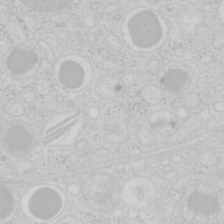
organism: Mouse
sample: Pancreas